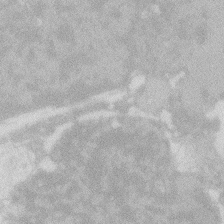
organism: Zebrafish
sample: Macrophage